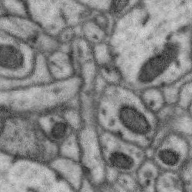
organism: Zebra finch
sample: Brain